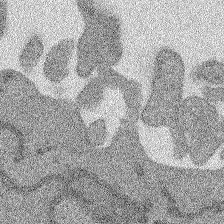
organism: Human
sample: HeLa cells